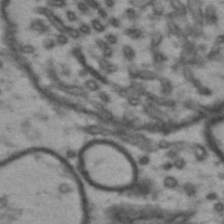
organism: Drosophila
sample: Brain